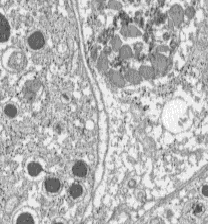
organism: C57BL Mouse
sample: Pancreatic islet